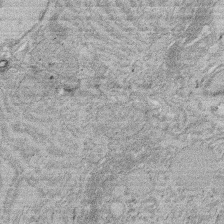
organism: Rat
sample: Salivary granule